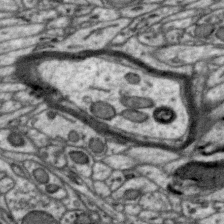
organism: Zebra finch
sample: Brain